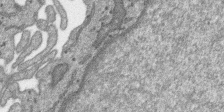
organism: Human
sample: Lung epithelial cells infected with SARS-CoV-2